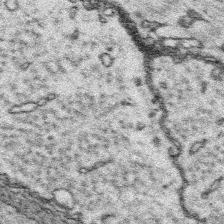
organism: Platynereis dumerilii